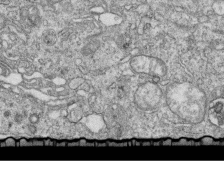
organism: Human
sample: HeLa cell HIV synapse